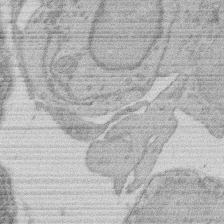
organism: Rat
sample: Salivary granule